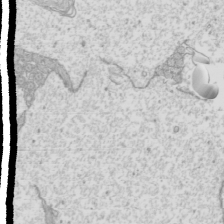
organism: Mouse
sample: Cilia; mouse epididymis